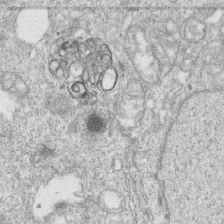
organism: Human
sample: HeLa cell HIV synapse